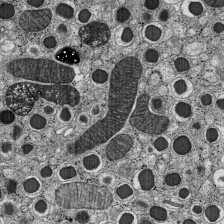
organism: C57BL Mouse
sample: Pancreatic islet